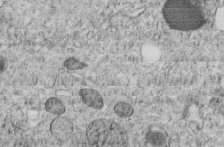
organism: C. elegans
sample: C. elegans embryo early stage